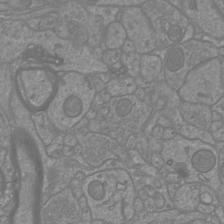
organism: Mouse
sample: Cortical neurons